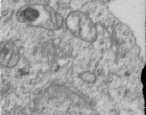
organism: Human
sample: Centriole in RPE cells